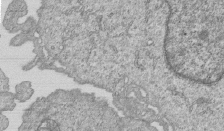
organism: Human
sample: MDA-MB-231 cells